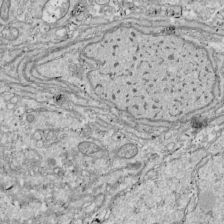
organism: Drosophila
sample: Cell division; meiosis; drosophila spermatocytes